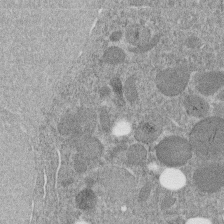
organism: C. elegans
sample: C. elegans embryo early stage